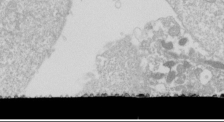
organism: Drosophila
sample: Cell division; meiosis; drosophila spermatocytes